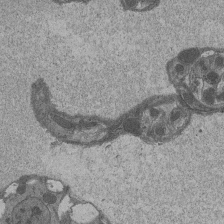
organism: Drosophila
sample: Antenna